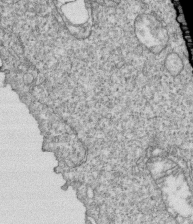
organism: Human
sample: HeLa cell HIV synapse